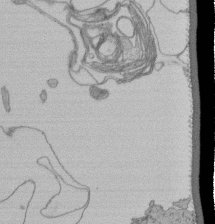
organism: Human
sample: Retinal organoid Rod and Cone cells